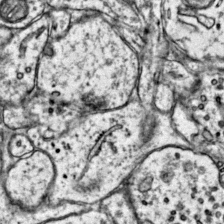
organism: Mouse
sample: Primary visual cortex